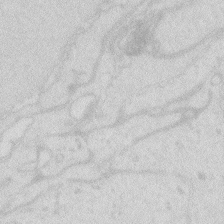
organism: Zebrafish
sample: Macrophage